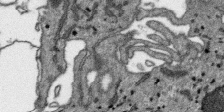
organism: Human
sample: Lung epithelial cells, uninfected (mock) control